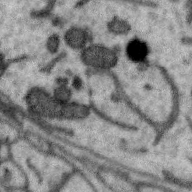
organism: Zebra finch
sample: Brain